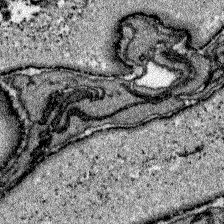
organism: Zebrafish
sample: Larval olfactory bulb